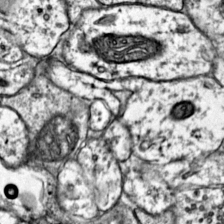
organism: Mouse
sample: Primary visual cortex